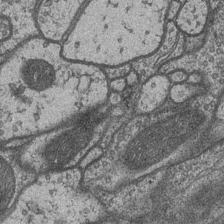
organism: Drosophila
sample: Optic medulla